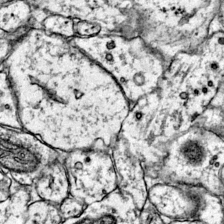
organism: Mouse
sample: Primary visual cortex